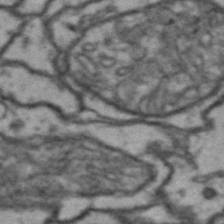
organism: Drosophila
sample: Brain